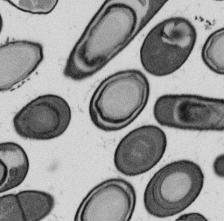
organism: B. subtilis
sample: Bacterial spore